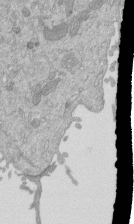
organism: Mouse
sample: ED-1 cell nuclei; centrioles